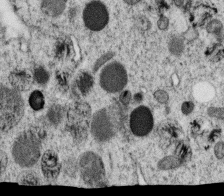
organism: C. elegans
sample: C. elegans oocyte; sperm cells